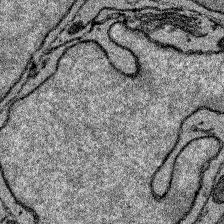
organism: Zebrafish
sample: Larval olfactory bulb